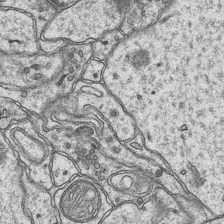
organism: Mouse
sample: CA1 Hippocampus